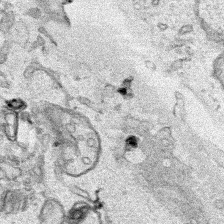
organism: Human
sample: Mitochondria in HCT116 cells